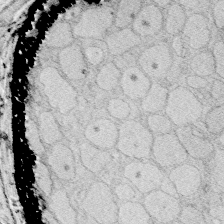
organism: Zebrafish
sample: Whole-Brain